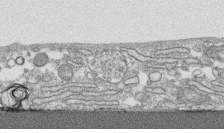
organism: Human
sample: CRL-1474